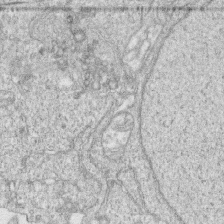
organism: Human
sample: HeLa cell HIV synapse